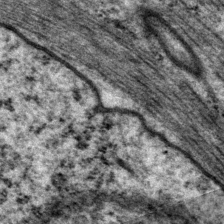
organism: P. pacificus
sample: Pharynx